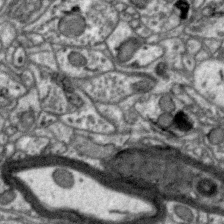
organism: Zebra finch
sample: Brain